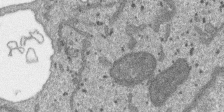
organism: Human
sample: Lung epithelial cells infected with SARS-CoV-2